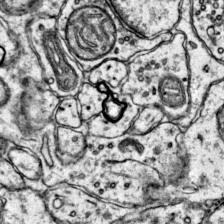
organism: Mouse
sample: Primary visual cortex